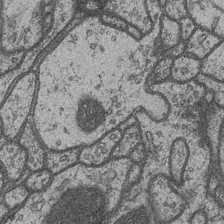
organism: Drosophila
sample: Optic medulla